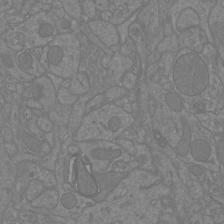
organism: Mouse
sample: Cortical neurons